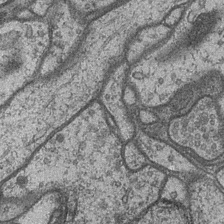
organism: Drosophila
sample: Optic medulla